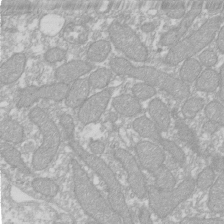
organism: Xenopus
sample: Cilia; centrioles in frog embryo cells